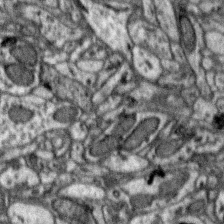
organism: Zebra finch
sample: Brain